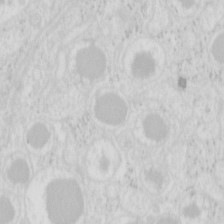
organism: Mouse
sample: Pancreas